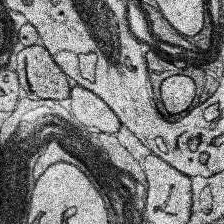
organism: Human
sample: Temporal Lobe